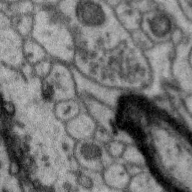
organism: Zebra finch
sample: Brain